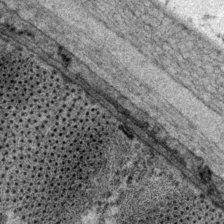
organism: P. pacificus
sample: Pharynx